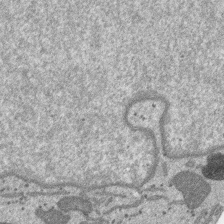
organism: Human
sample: Lung epithelial cells infected with SARS-CoV-2